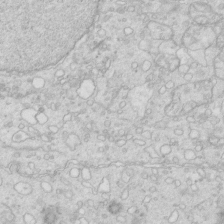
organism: Mouse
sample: Multiciliated cells